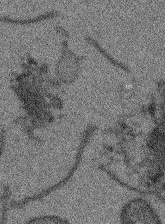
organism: Arabidopsis thaliana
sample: Root tip